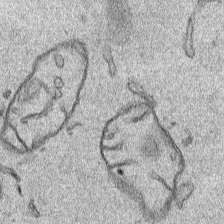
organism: Human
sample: Mitochondria in HCT116 cells